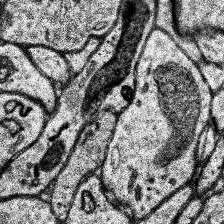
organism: Human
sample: Temporal Lobe